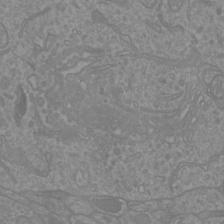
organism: Mouse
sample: Cortical neurons